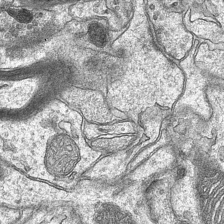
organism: Mouse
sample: CA1 Hippocampus